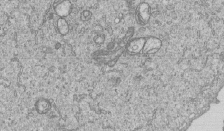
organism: Human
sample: MDA-MB-231 cells